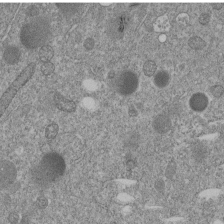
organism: C. elegans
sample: C. elegans embryo early stage